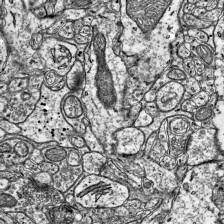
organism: Mouse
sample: Visual Cortex